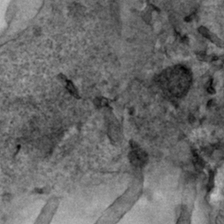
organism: Human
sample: Mitochondria in HCT116 cells